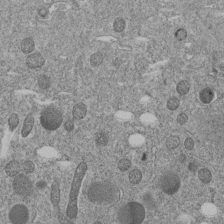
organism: C. elegans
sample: C. elegans embryo early stage